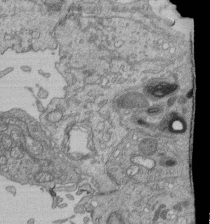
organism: Human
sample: Retinal organoid Rod and Cone cells